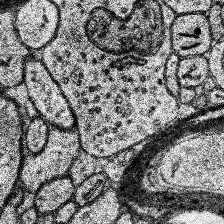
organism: Human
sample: Temporal Lobe